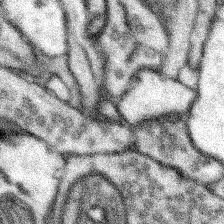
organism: Mouse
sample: Somatosensory cortex neuropil